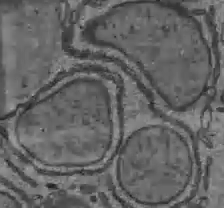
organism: C57BL Mouse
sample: Liver